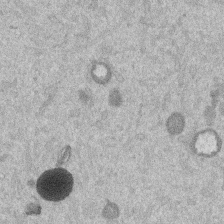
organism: Mouse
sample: Dividing mouse embryo 1 cell stage